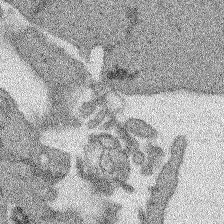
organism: Human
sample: HeLa cells